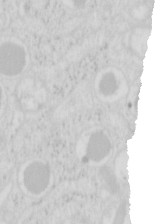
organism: Mouse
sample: Pancreas